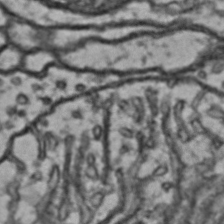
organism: Drosophila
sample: Brain